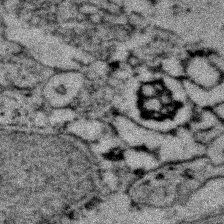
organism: Zebrafish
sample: Zebrafish embryo